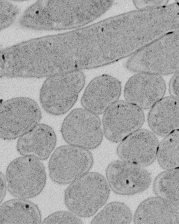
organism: E. coli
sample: Bacterial nucleoid